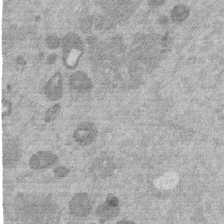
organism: Mouse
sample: Dividing mouse embryo 1 cell stage